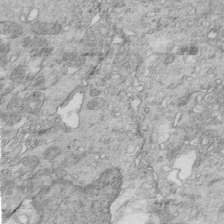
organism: Mouse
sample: Multiciliated cells